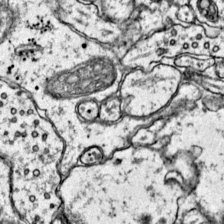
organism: Mouse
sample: Primary visual cortex